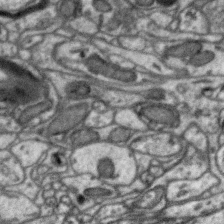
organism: Zebra finch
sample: Brain